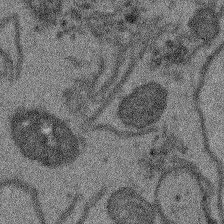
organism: Arabidopsis thaliana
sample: Root tip